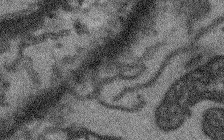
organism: Arabidopsis thaliana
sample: Root tip